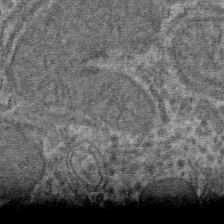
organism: Mouse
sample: Mouse hepatocytes